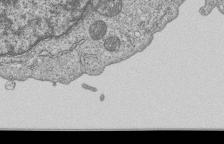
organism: Human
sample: MDA-MB-231 cells